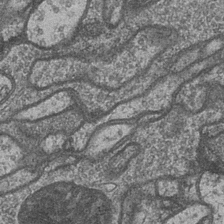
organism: Drosophila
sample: Optic medulla